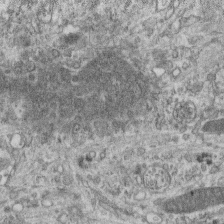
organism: Mouse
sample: Centriole in ependymal cells